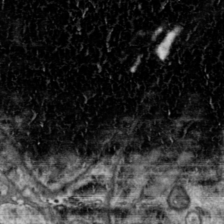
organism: Toxoplasma gondii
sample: Parasites in a vacuole inside a host cell